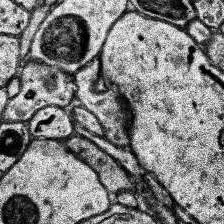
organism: Human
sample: Temporal Lobe